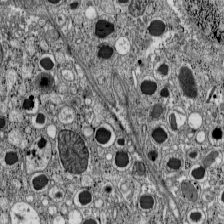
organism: C57BL Mouse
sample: Pancreatic islet